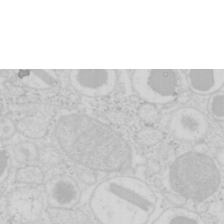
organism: Mouse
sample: Pancreas